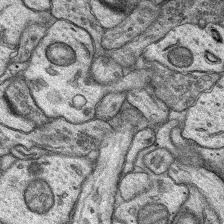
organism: Rat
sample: Hippocampus